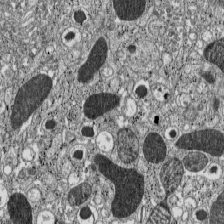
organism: C57BL Mouse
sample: Pancreatic islet